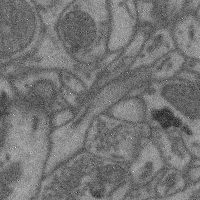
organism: Mouse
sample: Cerebral cortex